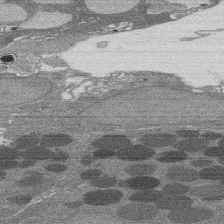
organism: Rat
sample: Salivary granule